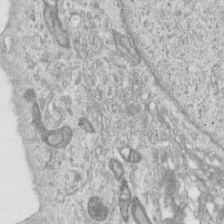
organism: Human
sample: Centriole in RPE cells